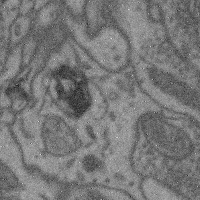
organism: Mouse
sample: Cerebral cortex